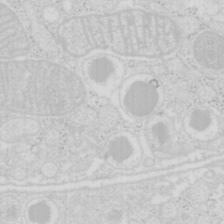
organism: Mouse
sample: Pancreas